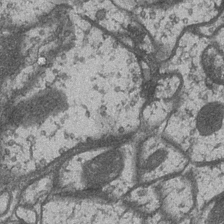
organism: Drosophila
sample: Optic medulla